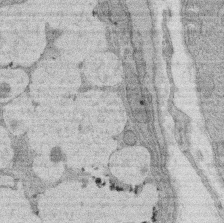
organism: Rat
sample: Salivary granule